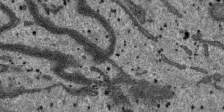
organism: Human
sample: Lung epithelial cells, uninfected (mock) control